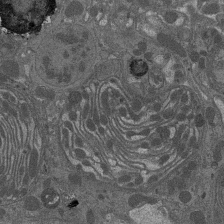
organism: Drosophila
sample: Antenna